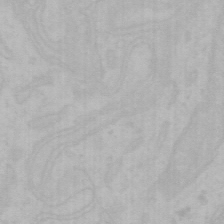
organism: Mouse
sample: Choroid plexus